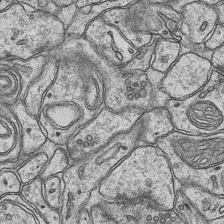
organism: Mouse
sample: CA1 Hippocampus